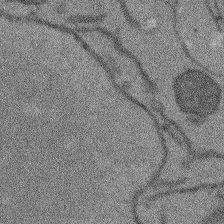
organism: Arabidopsis thaliana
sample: Root tip